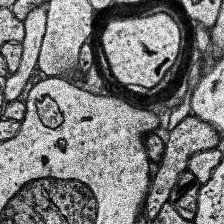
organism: Human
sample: Temporal Lobe